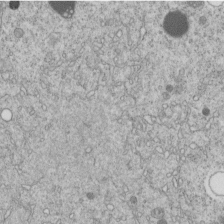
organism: C. elegans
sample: C. elegans embryo early stage